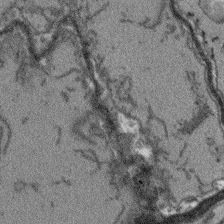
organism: Arabidopsis thaliana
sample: Root tip